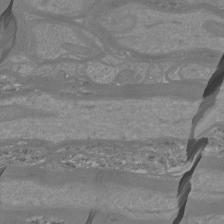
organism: Mouse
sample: Cortical neurons